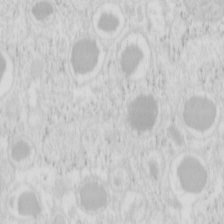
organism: Mouse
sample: Pancreas